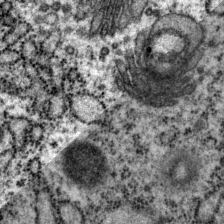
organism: P. pacificus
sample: Pharynx